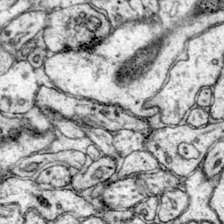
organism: Mouse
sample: Primary visual cortex